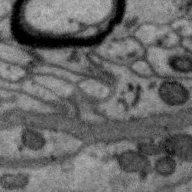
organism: Zebra finch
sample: Brain